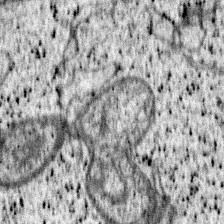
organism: Human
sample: HeLa cells